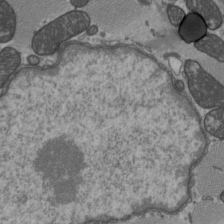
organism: C57BL Mouse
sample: Heart